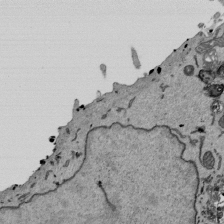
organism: Mouse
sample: ED-1 cell nuclei; centrioles